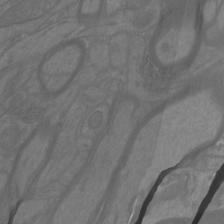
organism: Mouse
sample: Cortical neurons